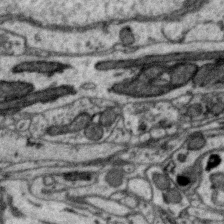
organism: Zebra finch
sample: Brain